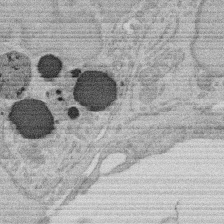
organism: Rat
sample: Salivary granule